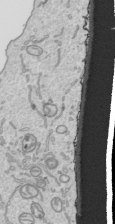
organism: Human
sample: Mitochondria in HCT116 cells